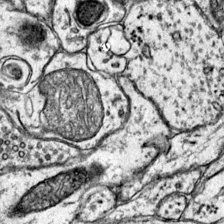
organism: Mouse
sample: Primary visual cortex